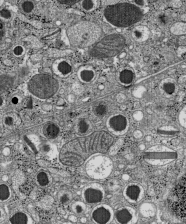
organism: C57BL Mouse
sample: Pancreatic islet